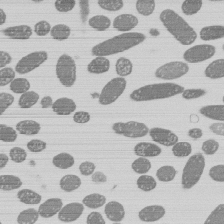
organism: E. coli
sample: Bacterial nucleoid